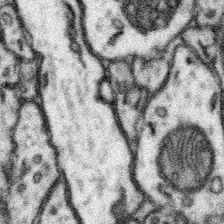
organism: Mouse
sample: Somatosensory cortex neuropil